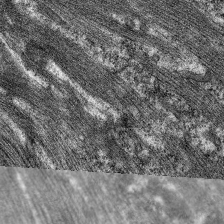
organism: C. elegans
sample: Pharynx